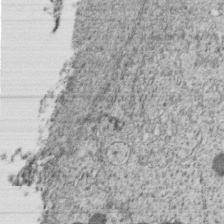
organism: C. elegans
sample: C. elegans embryo early stage